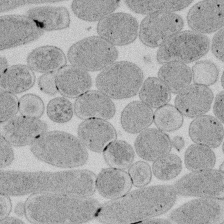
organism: E. coli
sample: Bacterial nucleoid